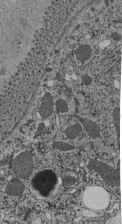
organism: C. elegans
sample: C. elegans pharynx